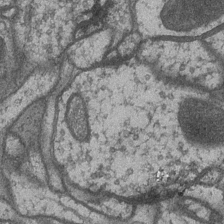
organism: Drosophila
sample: Optic medulla